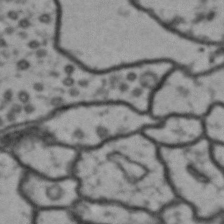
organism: Drosophila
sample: Brain